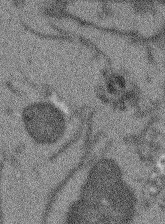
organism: Arabidopsis thaliana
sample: Root tip